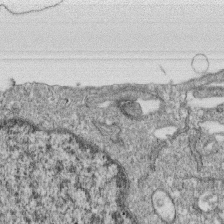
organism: African green monkey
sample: Vero E6 cells infected with SARS-CoV-2